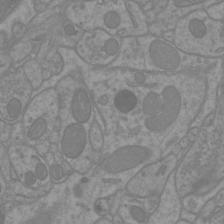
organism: Mouse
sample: Cortical neurons